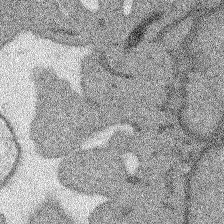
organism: Human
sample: HeLa cells